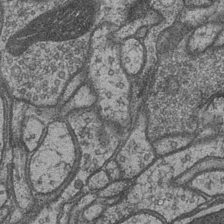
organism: Drosophila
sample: Optic medulla